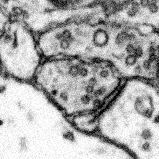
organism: Mouse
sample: Somatosensory cortex neuropil